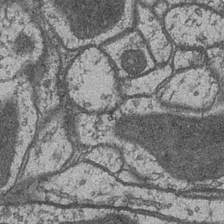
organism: Drosophila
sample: Optic medulla